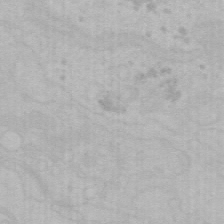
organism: Mouse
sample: Choroid plexus